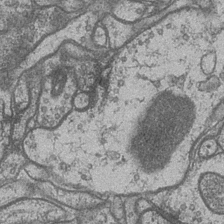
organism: Drosophila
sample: Optic medulla